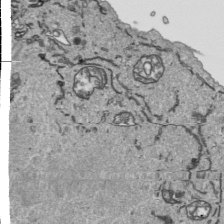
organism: Human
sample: Mitochondria in HCT116 cells